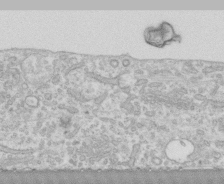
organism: Human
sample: CRL-1474